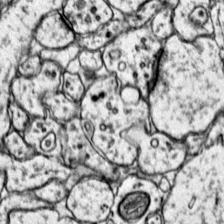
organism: Mouse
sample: Primary visual cortex